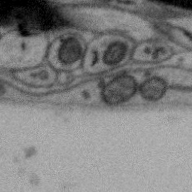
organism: Zebra finch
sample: Brain